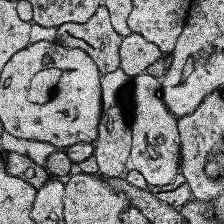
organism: Human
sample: Temporal Lobe